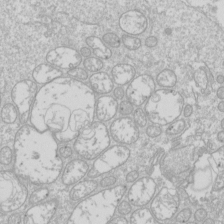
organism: Drosophila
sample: Cell division; meiosis; drosophila spermatocytes